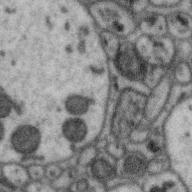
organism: Zebra finch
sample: Brain